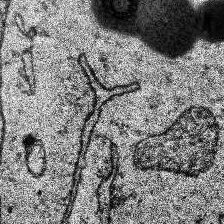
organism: Human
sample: Temporal Lobe